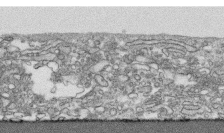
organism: Human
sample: CRL-1474